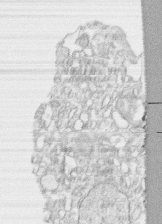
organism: Human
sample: CRL-1474